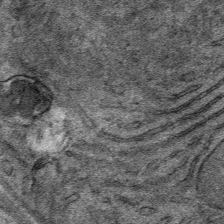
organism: Mouse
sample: Mouse Salivary gland